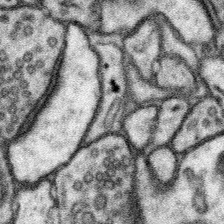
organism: Mouse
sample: Somatosensory cortex neuropil